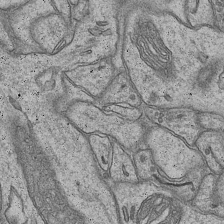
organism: Mouse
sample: CA1 Hippocampus